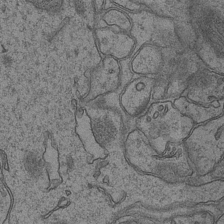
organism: Mouse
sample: CA1 Hippocampus